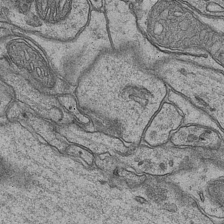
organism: Mouse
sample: CA1 Hippocampus